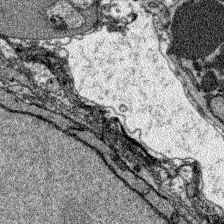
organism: Zebrafish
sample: Larval olfactory bulb